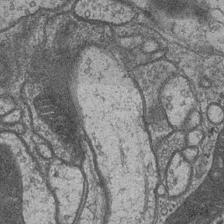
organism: Drosophila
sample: Optic medulla